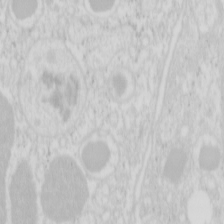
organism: Mouse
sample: Pancreas